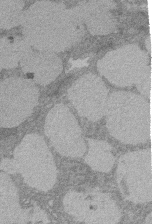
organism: Rat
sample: Salivary granule